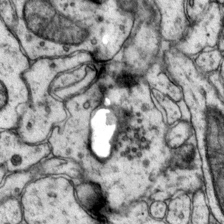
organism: Mouse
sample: Primary visual cortex